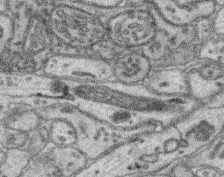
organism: Mouse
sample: Retina